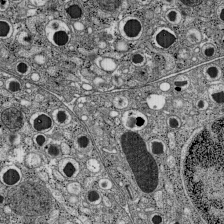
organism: C57BL Mouse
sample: Pancreatic islet